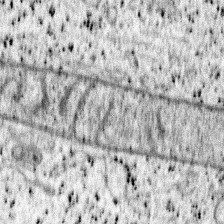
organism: Human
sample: HeLa cells